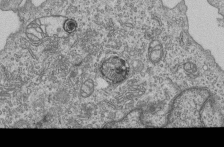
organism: Human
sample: MDA-MB-231 cells